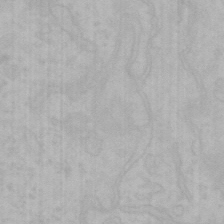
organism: Mouse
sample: Choroid plexus